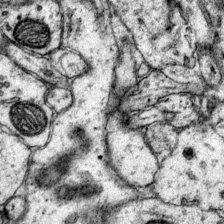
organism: Mouse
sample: Primary visual cortex